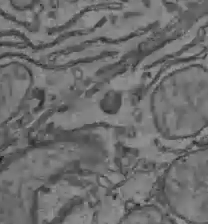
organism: C57BL Mouse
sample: Liver